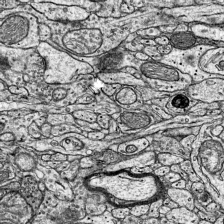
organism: Mouse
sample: Visual Cortex